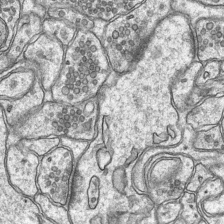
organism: Mouse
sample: CA1 Hippocampus